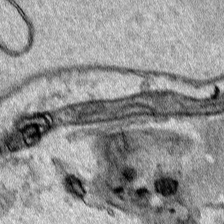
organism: Human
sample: Mitochondria in HCT116 cells